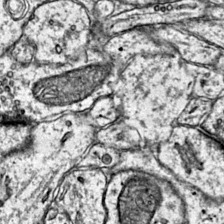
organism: Mouse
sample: Primary visual cortex